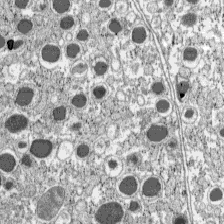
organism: C57BL Mouse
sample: Pancreatic islet